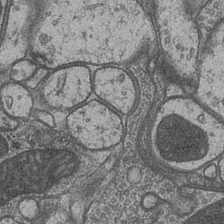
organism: Drosophila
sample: Optic medulla